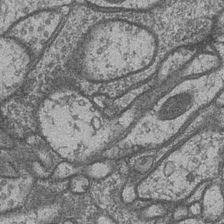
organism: Drosophila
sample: Optic medulla